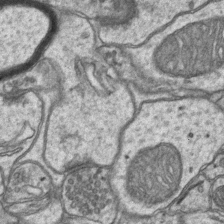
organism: Mouse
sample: CA1 Hippocampus